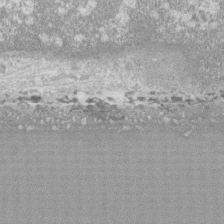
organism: Human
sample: CRL-1474